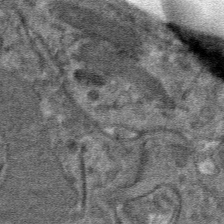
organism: Mouse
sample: Mouse hepatocytes